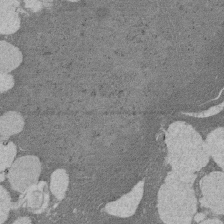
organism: Rat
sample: Salivary granule